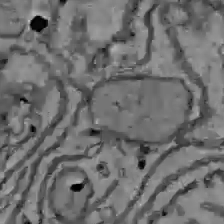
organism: C57BL Mouse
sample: Liver